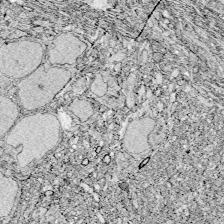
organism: Zebrafish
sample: Whole-Brain